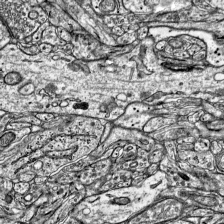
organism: Mouse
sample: Visual Cortex